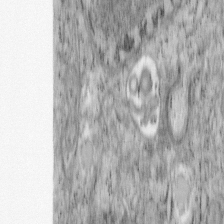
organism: Human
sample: HeLa cells